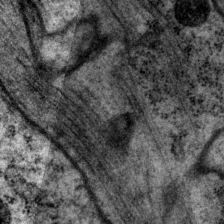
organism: P. pacificus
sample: Pharynx